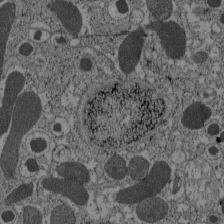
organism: C57BL Mouse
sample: Pancreatic islet